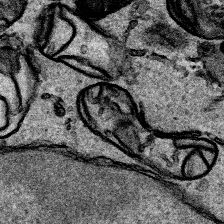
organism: Human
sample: Mitochondria in HCT116 cells